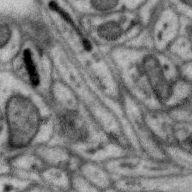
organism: Zebra finch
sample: Brain